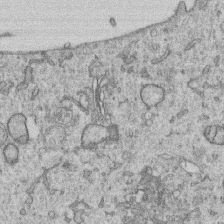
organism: Human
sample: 1205lu cells